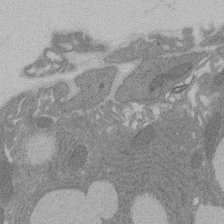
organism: Rat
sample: Salivary granule